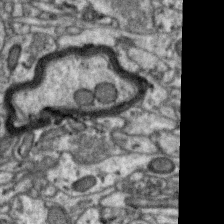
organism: Zebra finch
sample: Brain